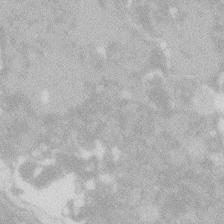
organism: Zebrafish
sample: Macrophage